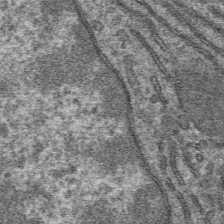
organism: Mouse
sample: Mouse hepatocytes